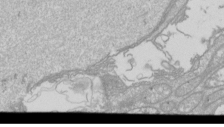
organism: Drosophila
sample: Cell division; meiosis; drosophila spermatocytes